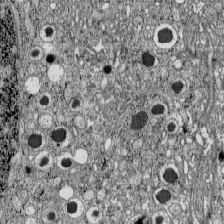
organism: C57BL Mouse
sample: Pancreatic islet